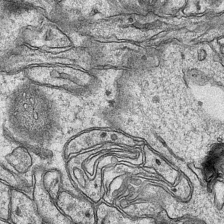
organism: Mouse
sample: CA1 Hippocampus